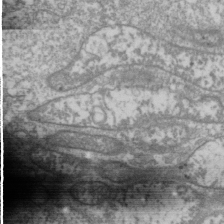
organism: Drosophila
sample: Cell division; meiosis; drosophila spermatocytes